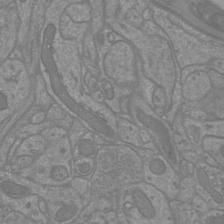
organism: Mouse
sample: Cortical neurons